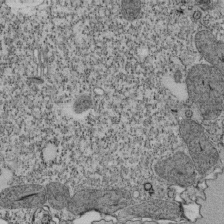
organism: Tetrahymena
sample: Cilia in tetrahymena